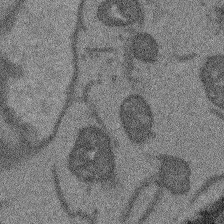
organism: Arabidopsis thaliana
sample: Root tip